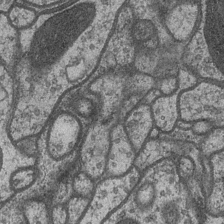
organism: Drosophila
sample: Optic medulla